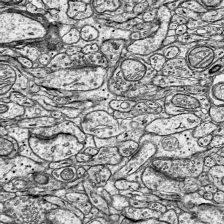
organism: Mouse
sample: Visual Cortex